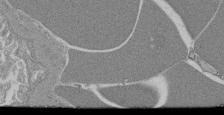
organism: Mouse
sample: Glomerulus